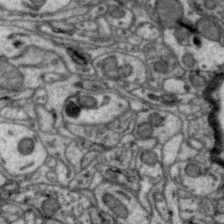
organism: Zebra finch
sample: Brain